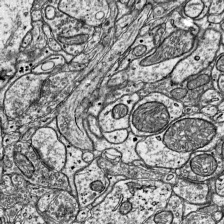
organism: Mouse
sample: Visual Cortex